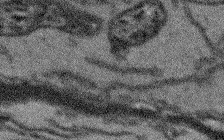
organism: Arabidopsis thaliana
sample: Root tip